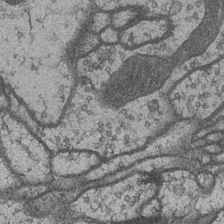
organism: Drosophila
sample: Optic medulla